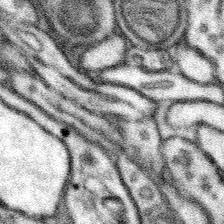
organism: Mouse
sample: Somatosensory cortex neuropil